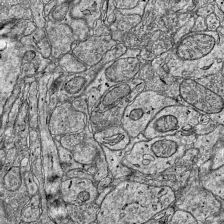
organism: Mouse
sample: Visual Cortex